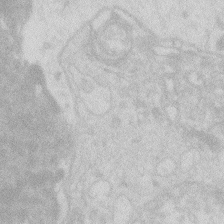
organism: Zebrafish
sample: Macrophage